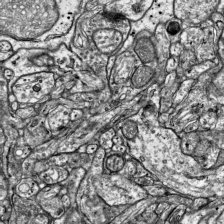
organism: Mouse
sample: Visual Cortex